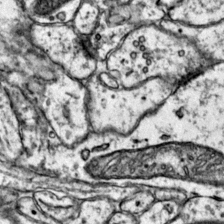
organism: Mouse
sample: Primary visual cortex